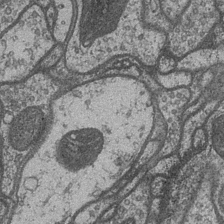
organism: Drosophila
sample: Optic medulla